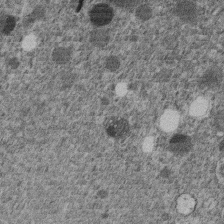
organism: C. elegans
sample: C. elegans embryo early stage